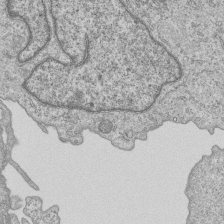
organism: Human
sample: MDA-MB-231 cells